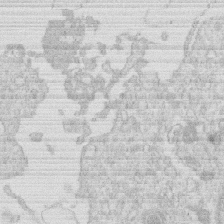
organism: Human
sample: Macrophage cells